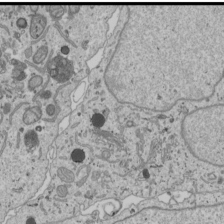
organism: Human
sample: Mitochondria in U2OS cells